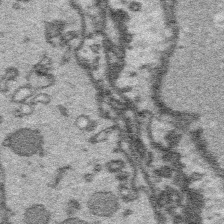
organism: Platynereis dumerilii